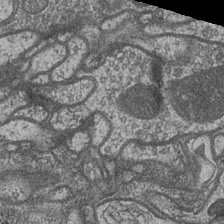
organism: Drosophila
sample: Optic medulla